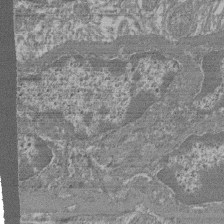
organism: Mouse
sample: Glomerulus